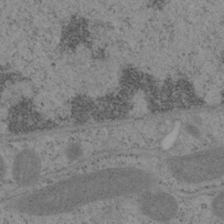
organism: Mouse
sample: OT-I killer T cells with ID8 ovarian cancer cells